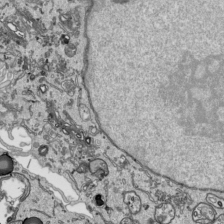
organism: Human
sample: Mitochondria in HCT116 cells